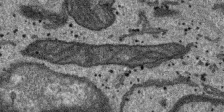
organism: Human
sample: Lung epithelial cells, uninfected (mock) control